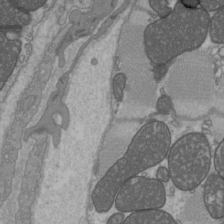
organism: C57BL Mouse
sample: Heart